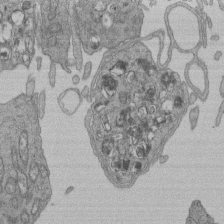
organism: Human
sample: Retinal organoid Rod and Cone cells